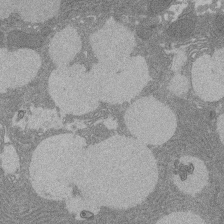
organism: Rat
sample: Salivary granule